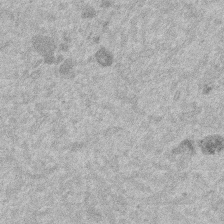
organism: Mouse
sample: Dividing mouse embryo 1 cell stage